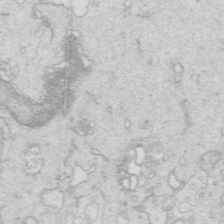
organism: Mouse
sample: Multiciliated cells